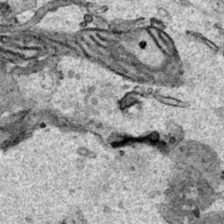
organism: Human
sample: Mitochondria in HCT116 cells